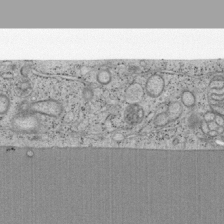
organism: Human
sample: HeLa cells